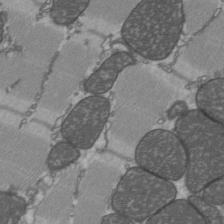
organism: C57BL Mouse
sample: Heart